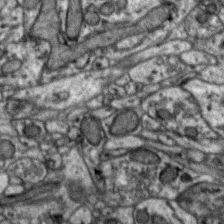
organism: Zebra finch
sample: Brain